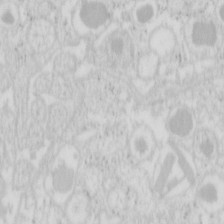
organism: Mouse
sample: Pancreas